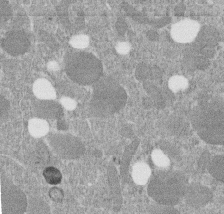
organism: C. elegans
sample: C. elegans embryo early stage